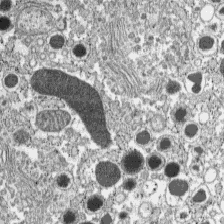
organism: C57BL Mouse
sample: Pancreatic islet